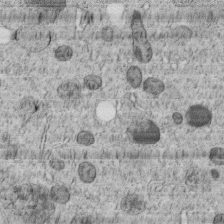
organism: C. elegans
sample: C. elegans embryo early stage